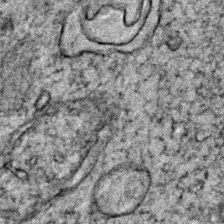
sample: Trachea